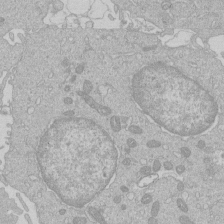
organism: Human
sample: Macrophage cells